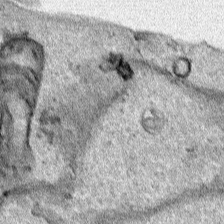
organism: Human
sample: Mitochondria in HCT116 cells